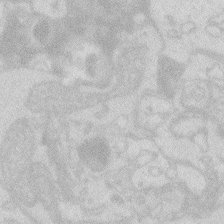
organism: Zebrafish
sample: Macrophage